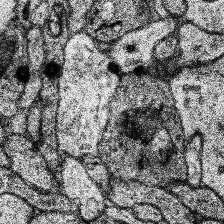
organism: Human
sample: Temporal Lobe